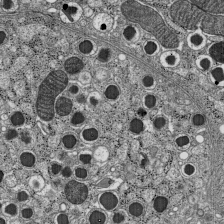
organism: C57BL Mouse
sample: Pancreatic islet